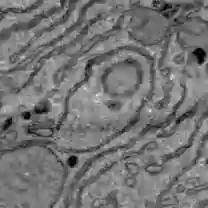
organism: C57BL Mouse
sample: Liver